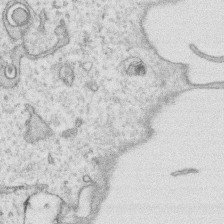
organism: Human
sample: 1205lu cells